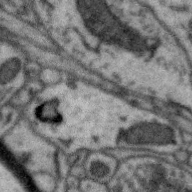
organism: Zebra finch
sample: Brain